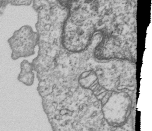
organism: Human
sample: MDA-MB-231 cells